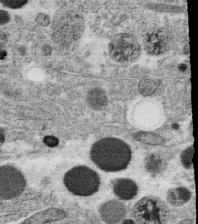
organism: C. elegans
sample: C. elegans oocyte; sperm cells